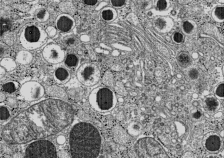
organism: C57BL Mouse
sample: Pancreatic islet